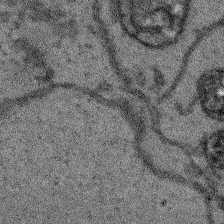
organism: Arabidopsis thaliana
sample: Root tip